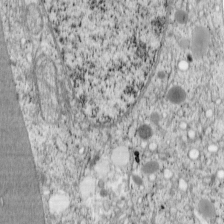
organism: African green monkey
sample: COS-7 cells